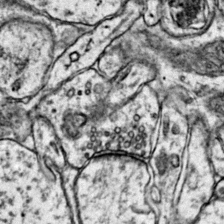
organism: Mouse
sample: Primary visual cortex